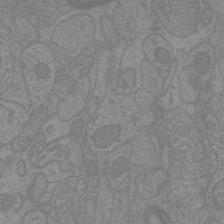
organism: Mouse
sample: Cortical neurons